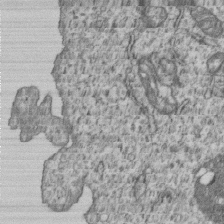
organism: Human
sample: MDA-MB-231 cells